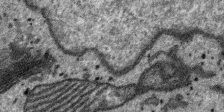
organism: Human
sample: Lung epithelial cells, uninfected (mock) control